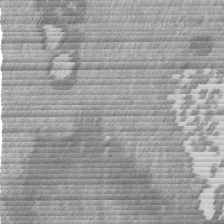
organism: Mouse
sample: Dividing mouse embryo 1 cell stage